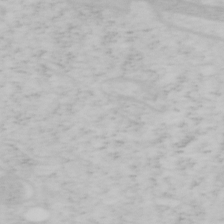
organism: Mouse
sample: OT-I killer T cells with ID8 ovarian cancer cells